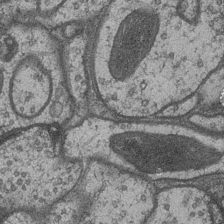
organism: Drosophila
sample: Optic medulla